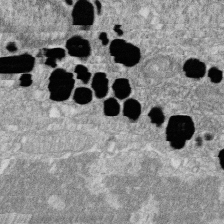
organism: Zebrafish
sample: Cilia; retinal pigment epithelium